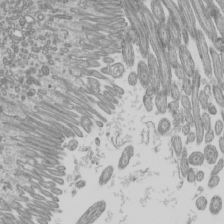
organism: Mouse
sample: Cilia; mouse epididymis